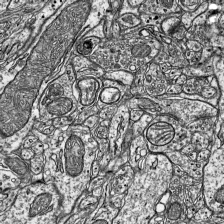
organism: Mouse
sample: Visual Cortex